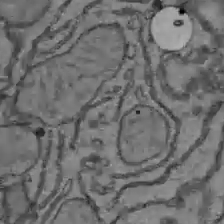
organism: C57BL Mouse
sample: Liver